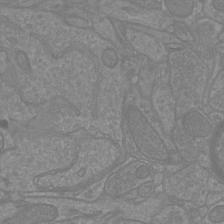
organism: Mouse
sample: Cortical neurons